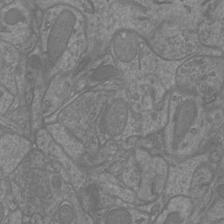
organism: Mouse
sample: Cortical neurons